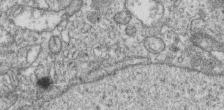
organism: Human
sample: HeLa cell HIV synapse